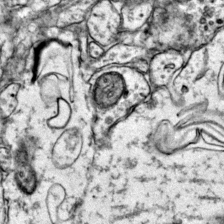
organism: Mouse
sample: Primary visual cortex